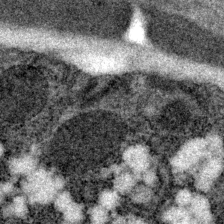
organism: P. pacificus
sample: Pharynx